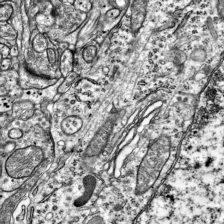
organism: Mouse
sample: Visual Cortex